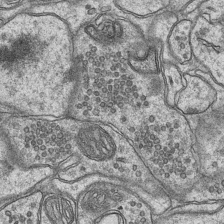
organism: Mouse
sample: CA1 Hippocampus